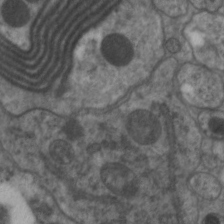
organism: C. elegans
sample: Pharynx